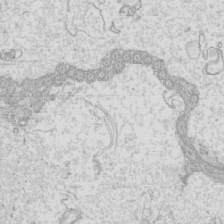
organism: Mouse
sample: Cilia; mouse epididymis